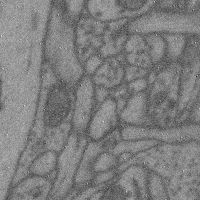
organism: Mouse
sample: Cerebral cortex